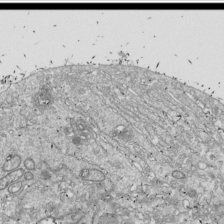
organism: Drosophila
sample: Cell division; meiosis; drosophila spermatocytes